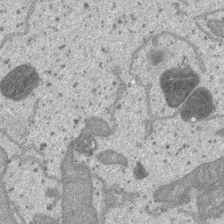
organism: Human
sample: Lung epithelial cells infected with SARS-CoV-2